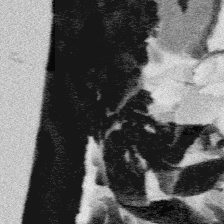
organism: Platynereis dumerilii